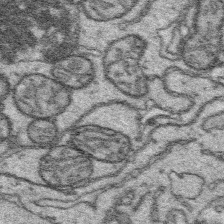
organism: Platynereis dumerilii